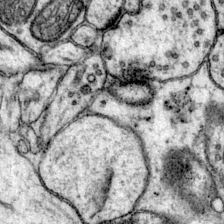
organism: Mouse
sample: Primary visual cortex